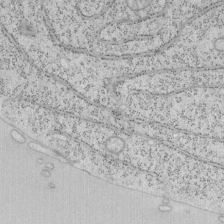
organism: Mouse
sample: OT-I killer T cells with ID8 ovarian cancer cells